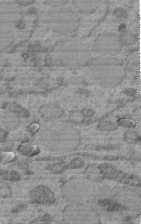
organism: C. elegans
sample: C. elegans embryo early stage